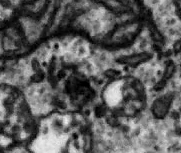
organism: Human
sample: HeLa cells